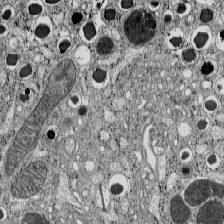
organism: C57BL Mouse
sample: Pancreatic islet